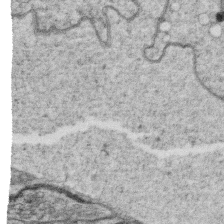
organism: C. elegans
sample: C. elegans oocyte; sperm cells